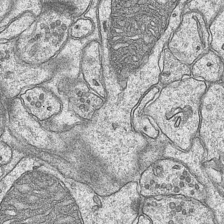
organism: Mouse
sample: CA1 Hippocampus